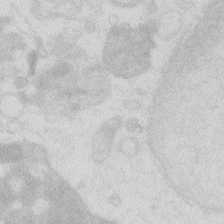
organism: Zebrafish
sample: Macrophage